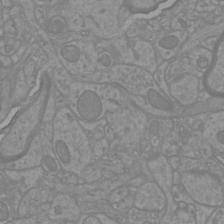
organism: Mouse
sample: Cortical neurons